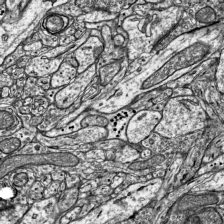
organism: Mouse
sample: Visual Cortex